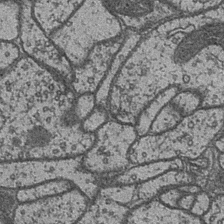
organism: Drosophila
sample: Optic medulla